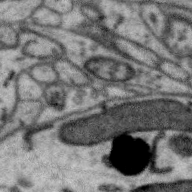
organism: Zebra finch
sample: Brain